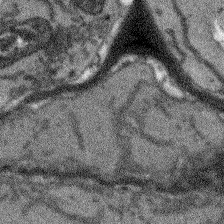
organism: Arabidopsis thaliana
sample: Root tip